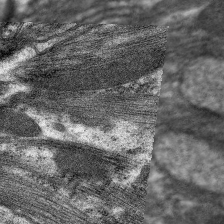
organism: C. elegans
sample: Pharynx